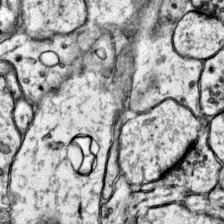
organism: Mouse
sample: Primary visual cortex